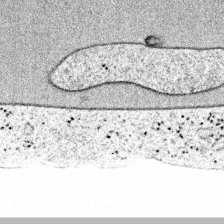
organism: Human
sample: HeLa cells